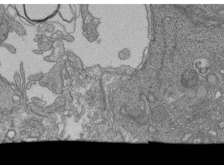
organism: Human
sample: Retinal organoid Rod and Cone cells